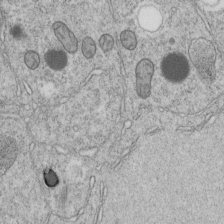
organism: C. elegans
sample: C. elegans embryo early stage